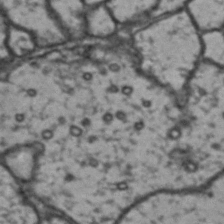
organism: Drosophila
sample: Brain